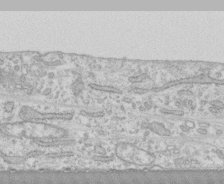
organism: Human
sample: CRL-1474